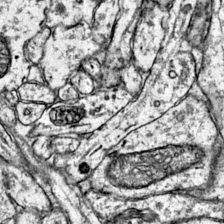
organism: Mouse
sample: Primary visual cortex